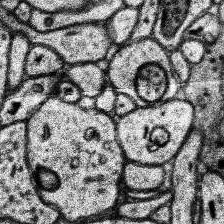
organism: Human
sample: Temporal Lobe